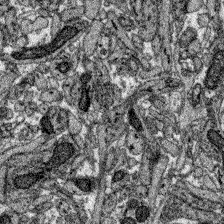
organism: Zebrafish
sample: Larval olfactory bulb